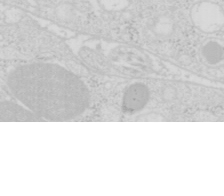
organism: Mouse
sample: Pancreas